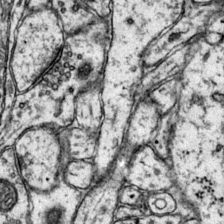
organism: Mouse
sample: Primary visual cortex